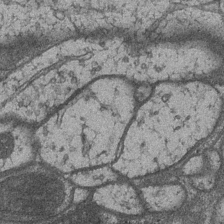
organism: Drosophila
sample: Optic medulla